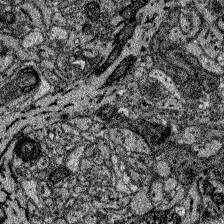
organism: Zebrafish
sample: Larval olfactory bulb